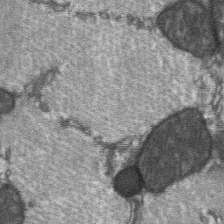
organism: C57BL Mouse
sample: Soleus